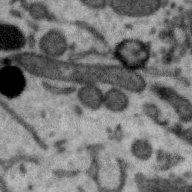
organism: Zebra finch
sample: Brain